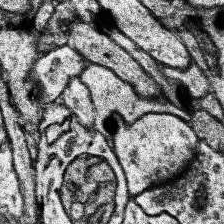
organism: Human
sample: Temporal Lobe